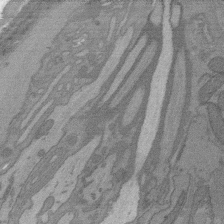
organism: C. elegans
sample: AFD neurons C. elegans